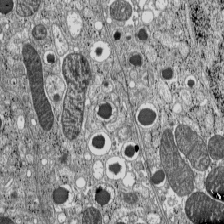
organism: C57BL Mouse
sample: Pancreatic islet